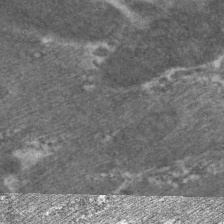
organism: C. elegans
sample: Pharynx